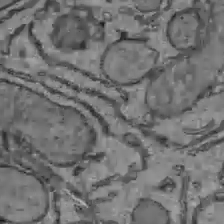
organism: C57BL Mouse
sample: Liver